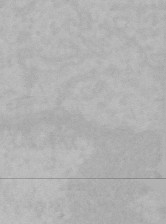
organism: Mouse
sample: Choroid plexus